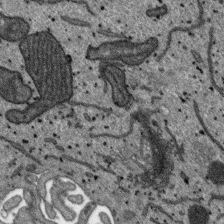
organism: Human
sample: Lung epithelial cells, uninfected (mock) control